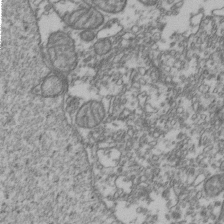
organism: Human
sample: Activated Jurkat CD4+ T cells